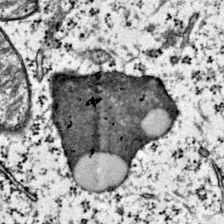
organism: Mouse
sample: Primary visual cortex